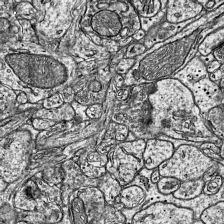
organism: Mouse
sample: Visual Cortex